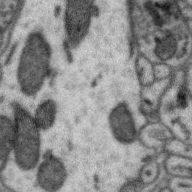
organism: Zebra finch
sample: Brain